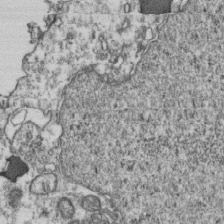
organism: Human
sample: Activated Jurkat CD4+ T cells